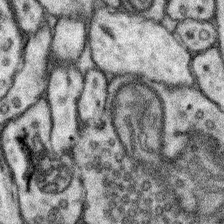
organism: Mouse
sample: Somatosensory cortex neuropil